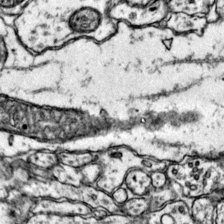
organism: Mouse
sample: Primary visual cortex